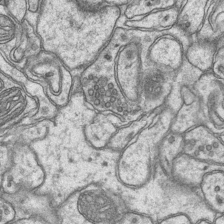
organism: Mouse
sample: CA1 Hippocampus